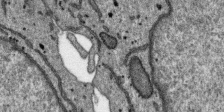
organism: Human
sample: Lung epithelial cells, uninfected (mock) control